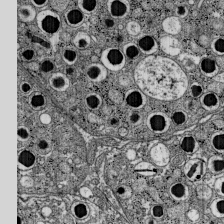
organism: C57BL Mouse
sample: Pancreatic islet